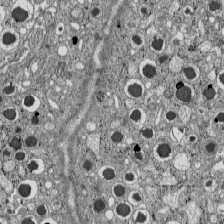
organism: C57BL Mouse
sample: Pancreatic islet